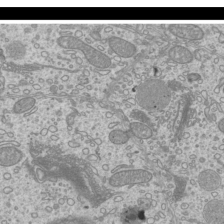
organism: Mouse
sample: Cilia; mouse epididymis